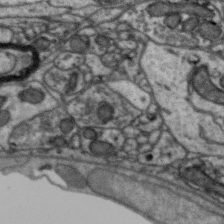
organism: Zebra finch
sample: Brain